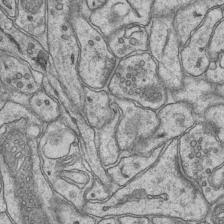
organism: Mouse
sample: CA1 Hippocampus